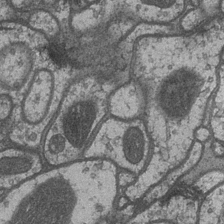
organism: Drosophila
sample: Optic medulla